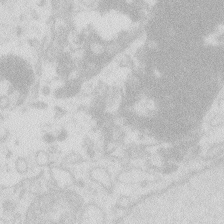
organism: Zebrafish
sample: Macrophage